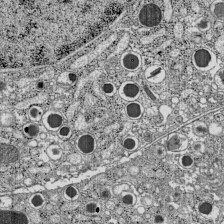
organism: C57BL Mouse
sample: Pancreatic islet